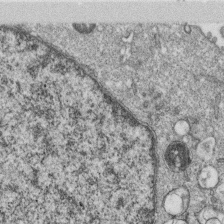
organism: African green monkey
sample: Vero E6 cells infected with SARS-CoV-2